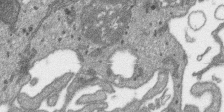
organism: Human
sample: Lung epithelial cells infected with SARS-CoV-2